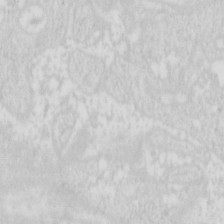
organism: Mouse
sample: Pancreas